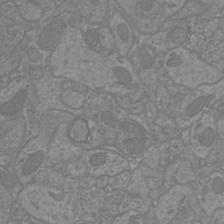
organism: Mouse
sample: Cortical neurons